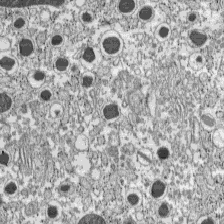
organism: C57BL Mouse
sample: Pancreatic islet